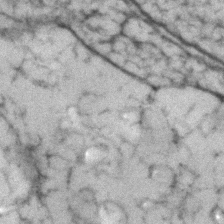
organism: Human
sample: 1205lu cells